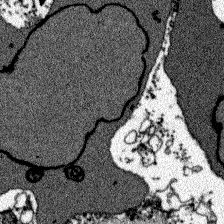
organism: Zebrafish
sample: Larval olfactory bulb